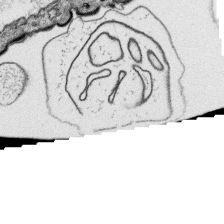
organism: Platynereis dumerilii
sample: Parapodia